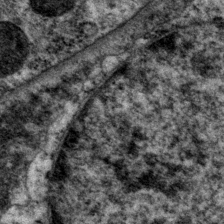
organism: P. pacificus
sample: Pharynx